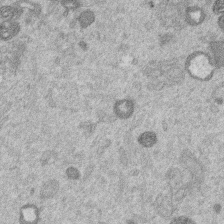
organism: Mouse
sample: Dividing mouse embryo 1 cell stage